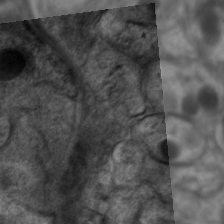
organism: C. elegans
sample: Pharynx